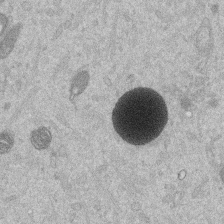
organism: Mouse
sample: Dividing mouse embryo 1 cell stage